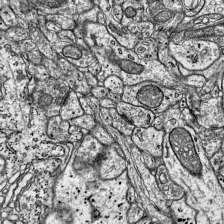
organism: Mouse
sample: Visual Cortex